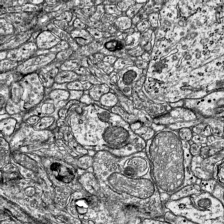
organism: Mouse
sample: Visual Cortex